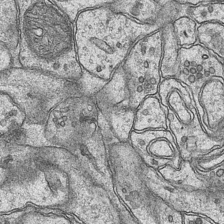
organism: Mouse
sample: CA1 Hippocampus